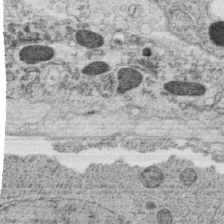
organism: C. elegans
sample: C. elegans oocyte; sperm cells